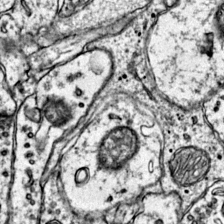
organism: Mouse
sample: Primary visual cortex